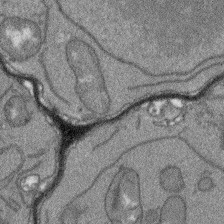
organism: Arabidopsis thaliana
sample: Root tip